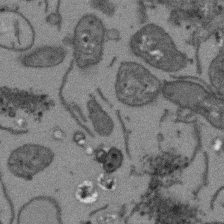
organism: Arabidopsis thaliana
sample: Root tip